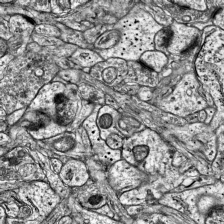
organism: Mouse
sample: Visual Cortex